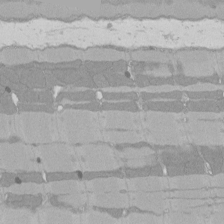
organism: Rat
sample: Left ventricle